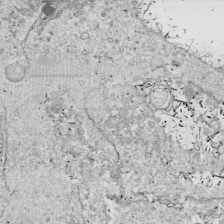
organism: Drosophila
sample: Cell division; meiosis; drosophila spermatocytes